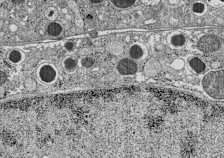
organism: C57BL Mouse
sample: Pancreatic islet